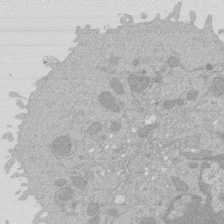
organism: Mouse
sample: Activated Pmel transgenic CD8+ T Cells